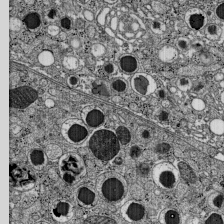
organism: C57BL Mouse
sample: Pancreatic islet